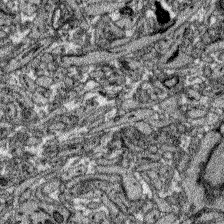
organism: Zebrafish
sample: Larval olfactory bulb